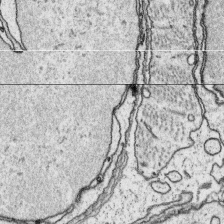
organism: Platynereis dumerilii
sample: Parapodia